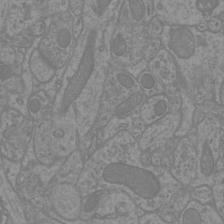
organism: Mouse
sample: Cortical neurons